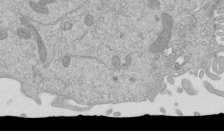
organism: Mouse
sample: ED-1 cell nuclei; centrioles